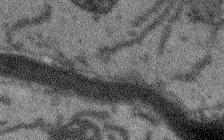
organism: Arabidopsis thaliana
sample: Root tip